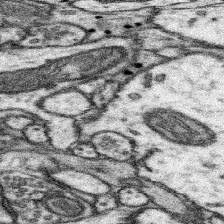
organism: Mouse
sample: Somatosensory cortex neuropil